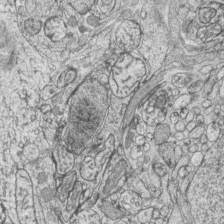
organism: Zebrafish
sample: synaptic ribbons in rod cells and cone cells